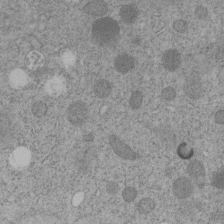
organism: C. elegans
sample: C. elegans embryo early stage